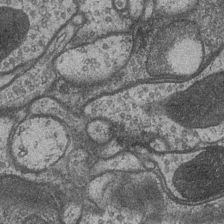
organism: Drosophila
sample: Optic medulla